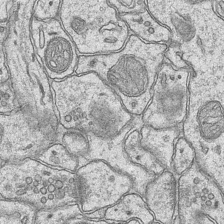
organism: Mouse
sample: CA1 Hippocampus